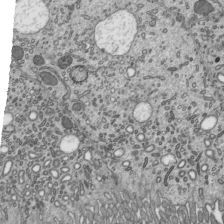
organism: Mouse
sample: Mouse epididymis efferent ductule cilia